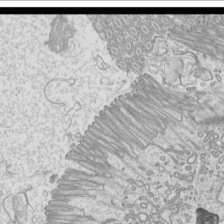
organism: Mouse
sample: Cilia; mouse epididymis